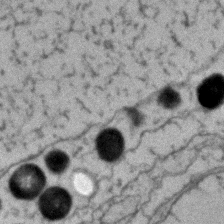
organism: Zebrafish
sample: Zebrafish embryo